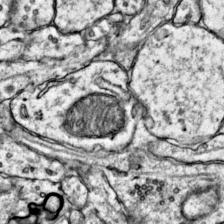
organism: Mouse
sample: Primary visual cortex